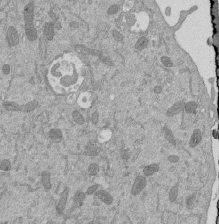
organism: Mouse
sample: ED-1 cell nuclei; centrioles